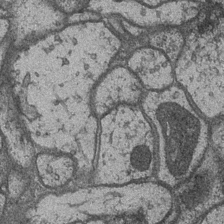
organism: Drosophila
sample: Optic medulla